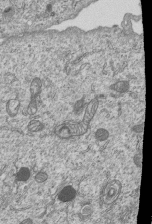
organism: Human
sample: MDA-MB-231 cells